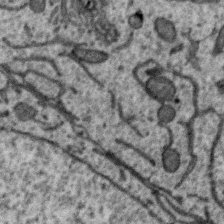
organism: Zebra finch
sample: Brain